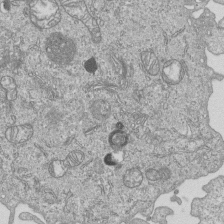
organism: Human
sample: MDA-MB-231 cells